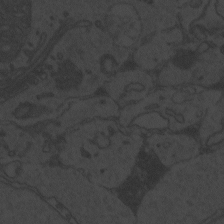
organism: Zebrafish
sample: Macrophage infected with Toxoplasma gondii